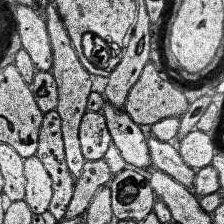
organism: Human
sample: Temporal Lobe